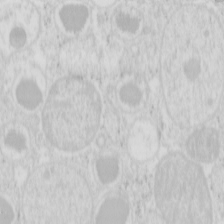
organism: Mouse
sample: Pancreas